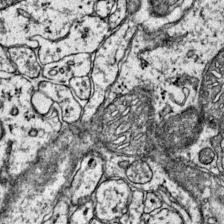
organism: Mouse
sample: Primary visual cortex